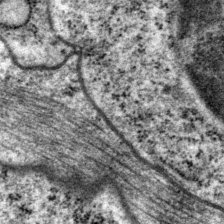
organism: P. pacificus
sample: Pharynx